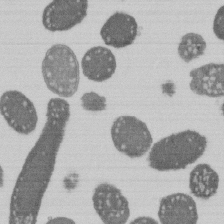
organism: E. coli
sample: Bacterial nucleoid